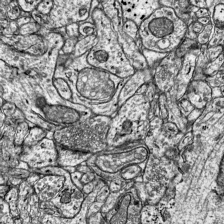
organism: Mouse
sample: Visual Cortex